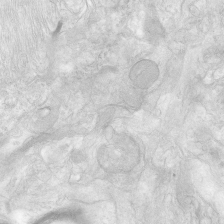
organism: Human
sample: Neocortex